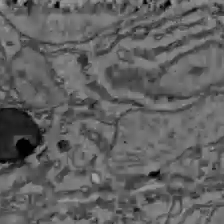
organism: C57BL Mouse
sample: Liver